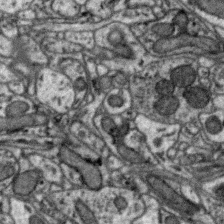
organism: Zebra finch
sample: Brain